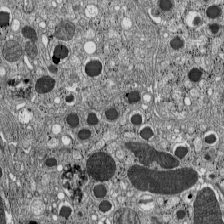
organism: C57BL Mouse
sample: Pancreatic islet